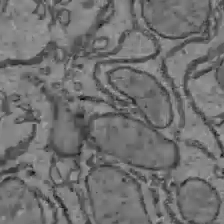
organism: C57BL Mouse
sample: Liver